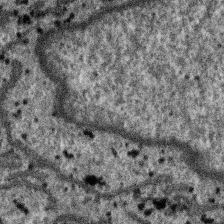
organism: Human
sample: Lung epithelial cells infected with SARS-CoV-2